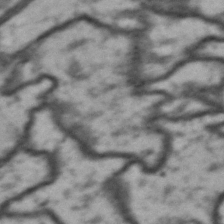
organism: Drosophila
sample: Brain